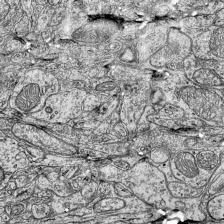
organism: Mouse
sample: Visual Cortex